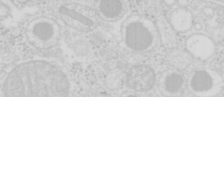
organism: Mouse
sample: Pancreas